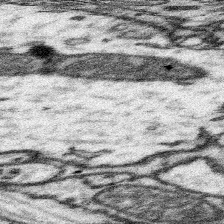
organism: Mouse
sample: Somatosensory cortex neuropil